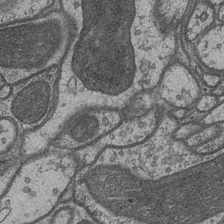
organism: Drosophila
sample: Optic medulla